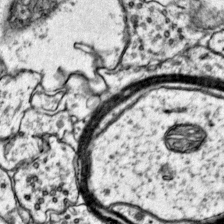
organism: Mouse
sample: Primary visual cortex